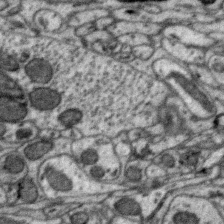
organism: Zebra finch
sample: Brain